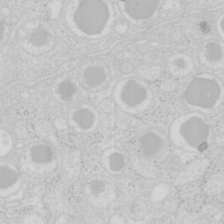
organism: Mouse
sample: Pancreas